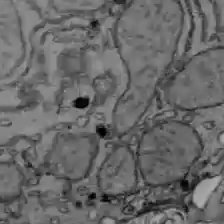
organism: C57BL Mouse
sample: Liver